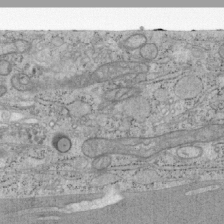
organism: Human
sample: HeLa cells